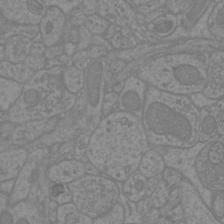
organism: Mouse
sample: Cortical neurons